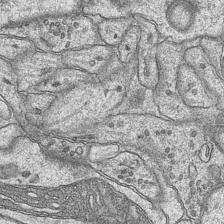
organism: Mouse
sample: CA1 Hippocampus